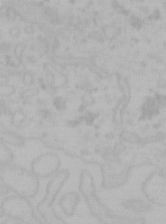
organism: Mouse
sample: Choroid plexus